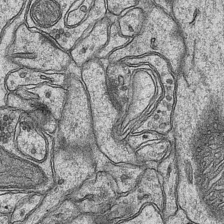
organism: Mouse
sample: CA1 Hippocampus